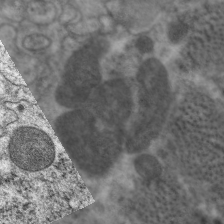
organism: C. elegans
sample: Pharynx